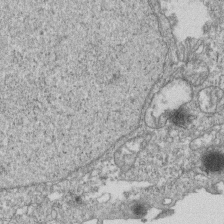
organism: Human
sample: HeLa cell HIV synapse